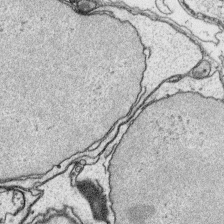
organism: Platynereis dumerilii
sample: Parapodia